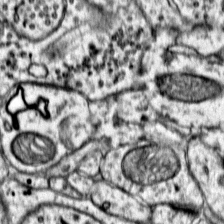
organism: Mouse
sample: Primary visual cortex